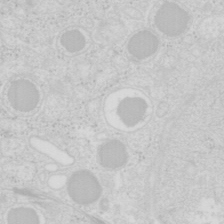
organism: Mouse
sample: Pancreas